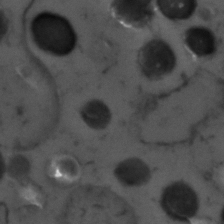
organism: Zebrafish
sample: Zebrafish embryo